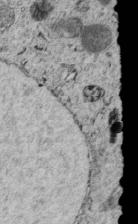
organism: C. elegans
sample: C. elegans embryo early stage